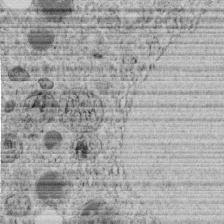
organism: C. elegans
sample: C. elegans embryo early stage